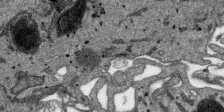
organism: Human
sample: Lung epithelial cells, uninfected (mock) control